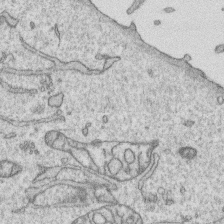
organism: Human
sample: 1205lu cells